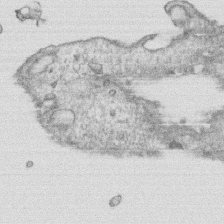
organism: Human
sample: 1205lu cells